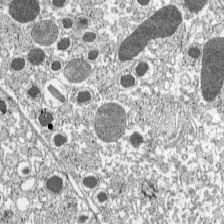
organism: C57BL Mouse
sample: Pancreatic islet